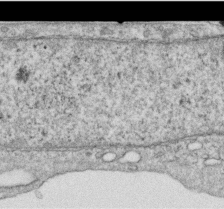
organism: Human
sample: Centriole in RPE cells